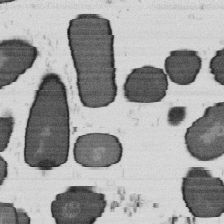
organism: B. subtilis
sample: Bacterial spore